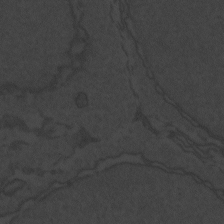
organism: Zebrafish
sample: Macrophage infected with Toxoplasma gondii